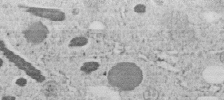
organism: C. elegans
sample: C. elegans embryo early stage